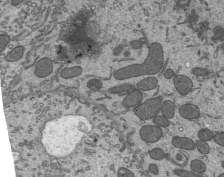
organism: Mouse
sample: Mouse epididymis efferent ductule cilia